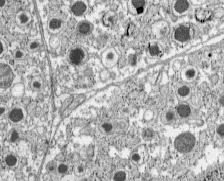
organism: C57BL Mouse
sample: Pancreatic islet